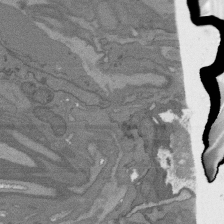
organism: C. elegans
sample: AFD neurons C. elegans